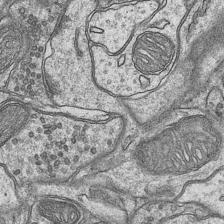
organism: Mouse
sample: CA1 Hippocampus